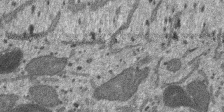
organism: Human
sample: Lung epithelial cells infected with SARS-CoV-2